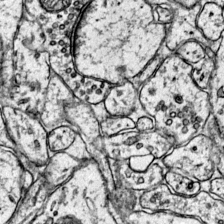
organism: Mouse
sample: Primary visual cortex